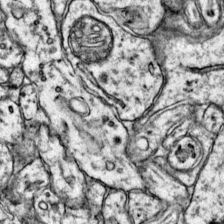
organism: Mouse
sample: Primary visual cortex